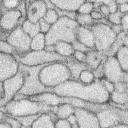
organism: Rabbit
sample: Retina